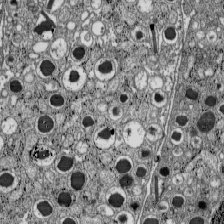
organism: C57BL Mouse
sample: Pancreatic islet